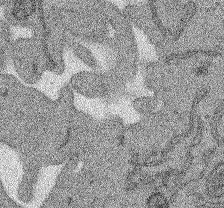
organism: Human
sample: HeLa cells